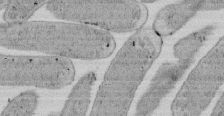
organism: E. coli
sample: Bacterial nucleoid